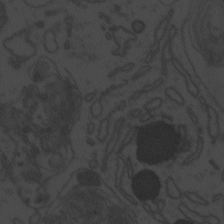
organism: Zebrafish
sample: Macrophage infected with Toxoplasma gondii